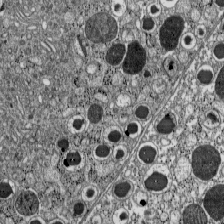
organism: C57BL Mouse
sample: Pancreatic islet